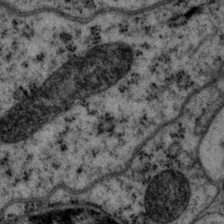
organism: P. pacificus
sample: Pharynx